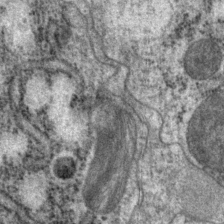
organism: P. pacificus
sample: Pharynx